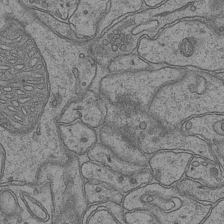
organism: Mouse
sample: CA1 Hippocampus